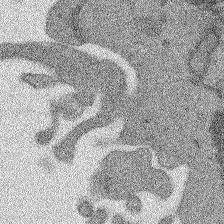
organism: Human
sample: HeLa cells